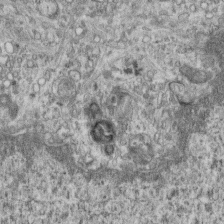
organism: Mouse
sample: Centriole in ependymal cells